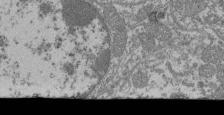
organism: Mouse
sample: Glomerulus